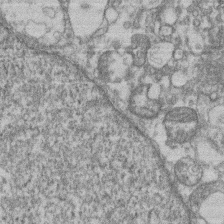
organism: Mouse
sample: T cell stromal cell synapse